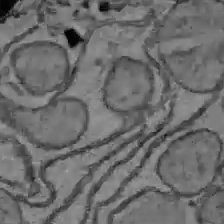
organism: C57BL Mouse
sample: Liver